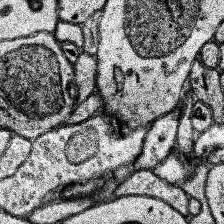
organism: Human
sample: Temporal Lobe